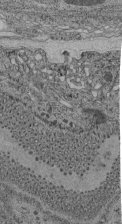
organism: C. elegans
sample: C. elegans pharynx